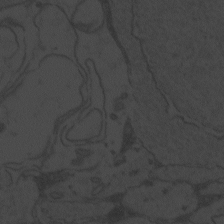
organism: Zebrafish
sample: Macrophage infected with Toxoplasma gondii